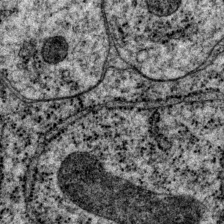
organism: P. pacificus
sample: Pharynx